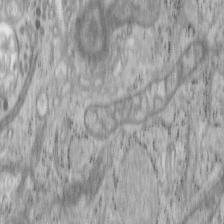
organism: Human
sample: HeLa cells